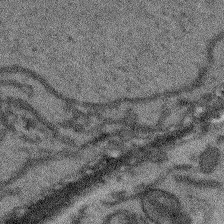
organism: Arabidopsis thaliana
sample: Root tip